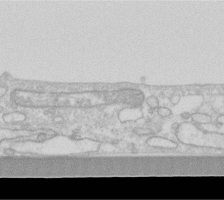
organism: Human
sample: Fibroblast cells